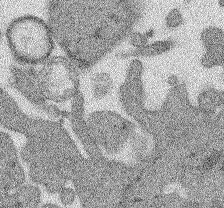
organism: Human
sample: HeLa cells